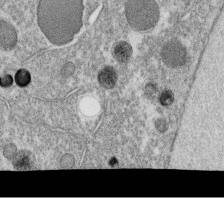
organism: C. elegans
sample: C. elegans oocyte; sperm cells